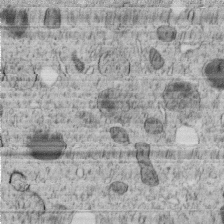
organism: C. elegans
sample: C. elegans embryo early stage